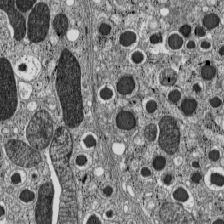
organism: C57BL Mouse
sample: Pancreatic islet